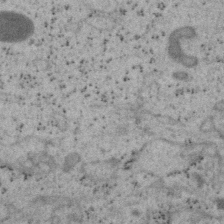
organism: Human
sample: HeLa cells